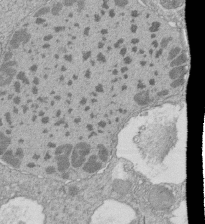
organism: Tetrahymena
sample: Cilia in tetrahymena